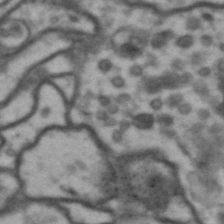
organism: Drosophila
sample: Brain